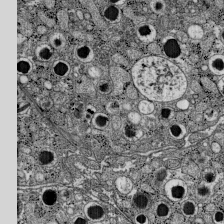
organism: C57BL Mouse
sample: Pancreatic islet